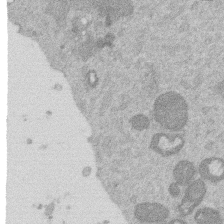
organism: Mouse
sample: Dividing mouse embryo 1 cell stage